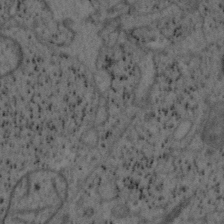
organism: Human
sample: HeLa cells